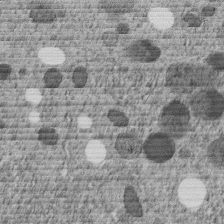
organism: C. elegans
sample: C. elegans embryo early stage